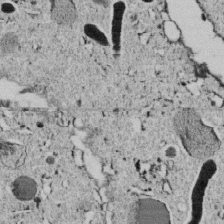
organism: C. elegans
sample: C. elegans embryo early stage